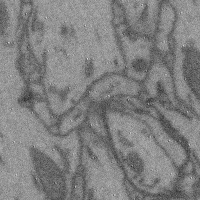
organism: Mouse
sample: Cerebral cortex